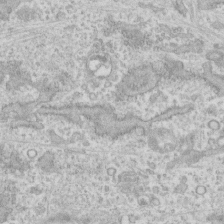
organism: Human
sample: CRL-1474